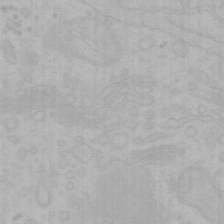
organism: Mouse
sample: Choroid plexus